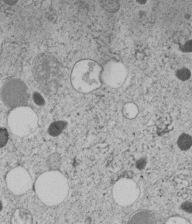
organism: C. elegans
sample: C. elegans embryo early stage